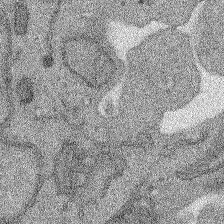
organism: Human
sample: HeLa cells